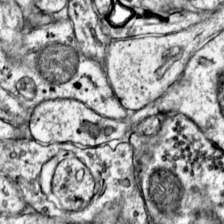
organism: Mouse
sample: Primary visual cortex